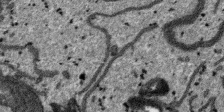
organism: Human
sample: Lung epithelial cells, uninfected (mock) control